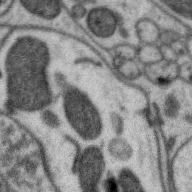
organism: Zebra finch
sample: Brain